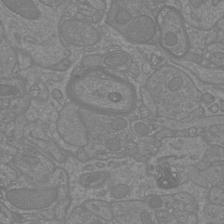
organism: Mouse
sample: Cortical neurons